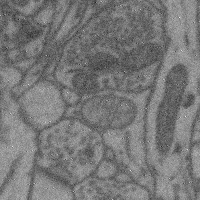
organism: Mouse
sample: Cerebral cortex